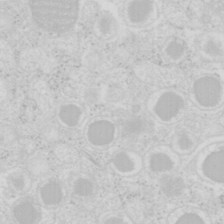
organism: Mouse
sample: Pancreas